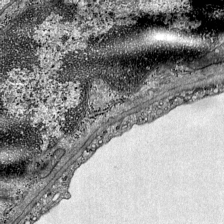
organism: Mouse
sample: Visual Cortex